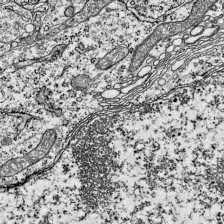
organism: Mouse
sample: Visual Cortex